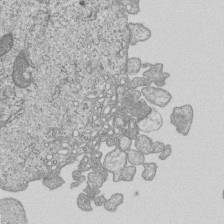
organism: Human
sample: MDA-MB-231 cells